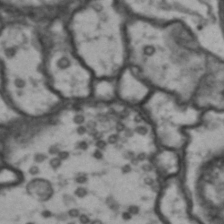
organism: Drosophila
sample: Brain